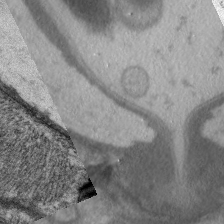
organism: C. elegans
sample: Pharynx